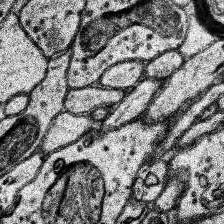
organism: Human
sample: Temporal Lobe